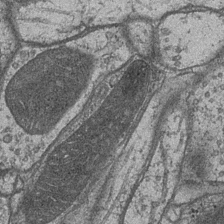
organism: Drosophila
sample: Optic medulla